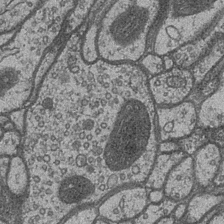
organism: Drosophila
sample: Optic medulla